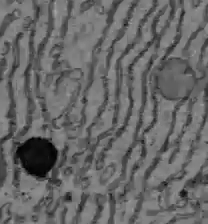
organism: C57BL Mouse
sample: Liver